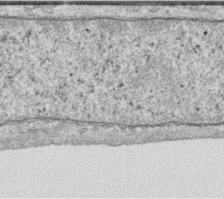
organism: Human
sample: Centriole in RPE cells